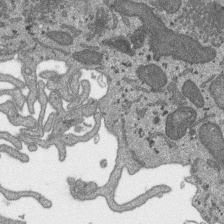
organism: Human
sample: Lung epithelial cells infected with SARS-CoV-2